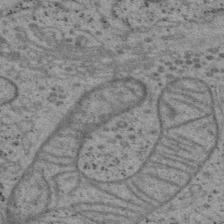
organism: Human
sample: HeLa cells